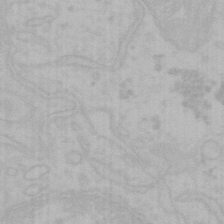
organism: Mouse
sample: Choroid plexus